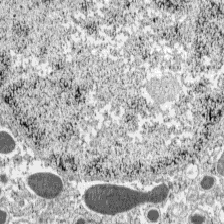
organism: C57BL Mouse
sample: Pancreatic islet